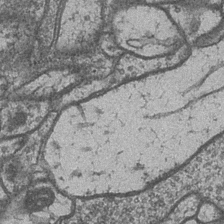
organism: Drosophila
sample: Optic medulla